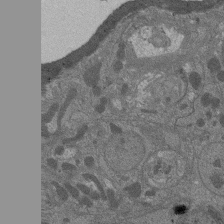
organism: Drosophila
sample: Antenna